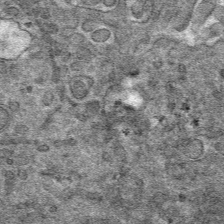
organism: Mouse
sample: Mouse hepatocytes